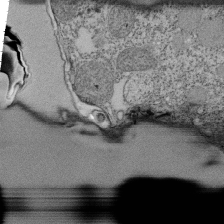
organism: Tetrahymena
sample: Cilia in tetrahymena